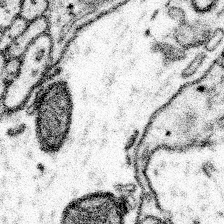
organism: Mouse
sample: Somatosensory cortex neuropil